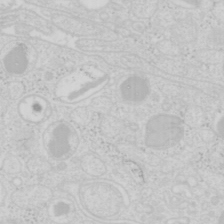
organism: Mouse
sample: Pancreas